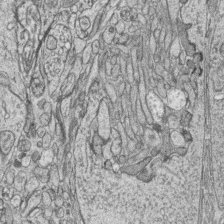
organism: Zebrafish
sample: synaptic ribbons in rod cells and cone cells